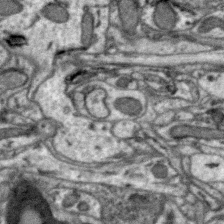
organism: Zebra finch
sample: Brain